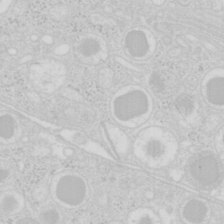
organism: Mouse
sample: Pancreas